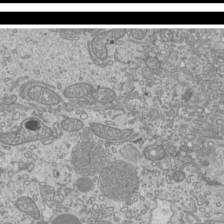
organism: Mouse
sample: Cilia; mouse epididymis